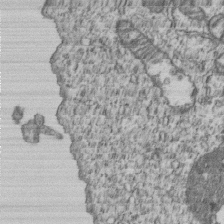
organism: Human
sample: MDA-MB-231 cells